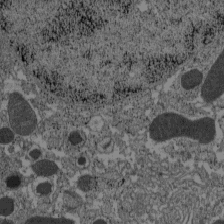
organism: C57BL Mouse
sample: Pancreatic islet